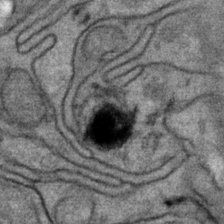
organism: Mouse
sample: Mouse Salivary gland